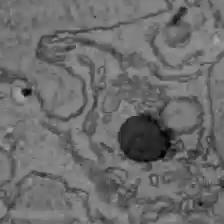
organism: C57BL Mouse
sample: Liver